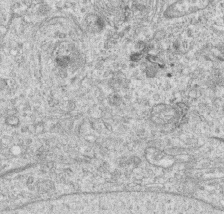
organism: Human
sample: HeLa cell HIV synapse